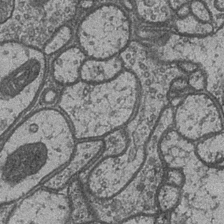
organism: Drosophila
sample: Optic medulla